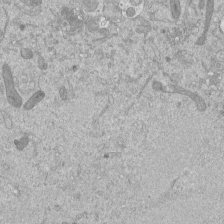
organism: Mouse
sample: ED-1 cell nuclei; centrioles